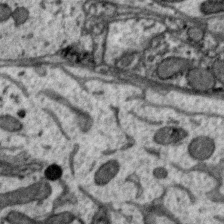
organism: Zebra finch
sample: Brain